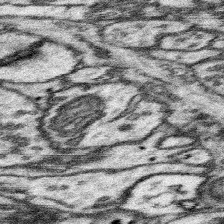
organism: Mouse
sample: Somatosensory cortex neuropil